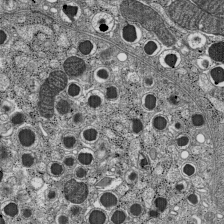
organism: C57BL Mouse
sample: Pancreatic islet